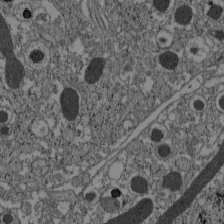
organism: C57BL Mouse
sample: Pancreatic islet